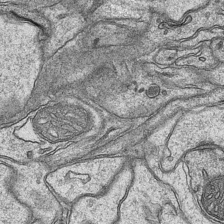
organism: Mouse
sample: CA1 Hippocampus